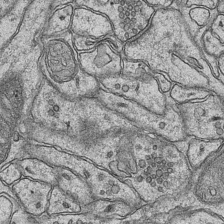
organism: Mouse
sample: CA1 Hippocampus